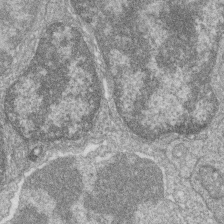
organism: Zebrafish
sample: Cilia; retinal pigment epithelium